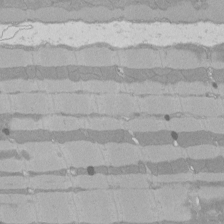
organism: Rat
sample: Left ventricle